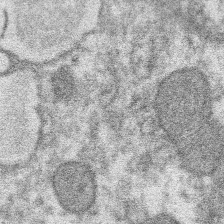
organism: Xenopus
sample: Cilia; centrioles in frog embryo cells